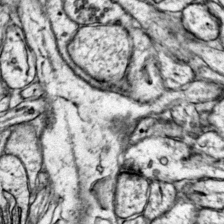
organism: Mouse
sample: Primary visual cortex